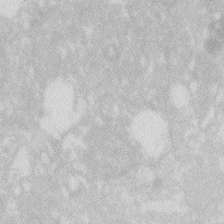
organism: Zebrafish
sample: Macrophage